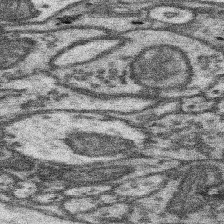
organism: Mouse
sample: Somatosensory cortex neuropil